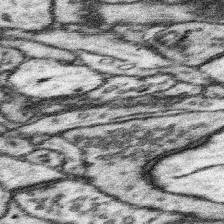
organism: Mouse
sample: Somatosensory cortex neuropil